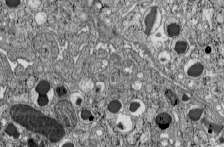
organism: C57BL Mouse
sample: Pancreatic islet